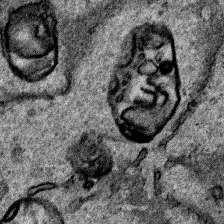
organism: Human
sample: Mitochondria in HCT116 cells